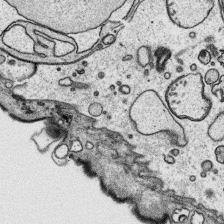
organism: Platynereis dumerilii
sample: Parapodia